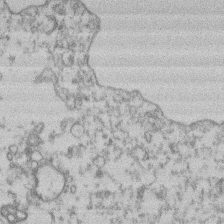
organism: Mouse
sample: T cell stromal cell synapse